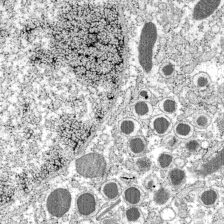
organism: C57BL Mouse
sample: Pancreatic islet